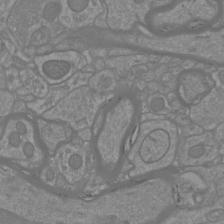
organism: Mouse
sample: Cortical neurons